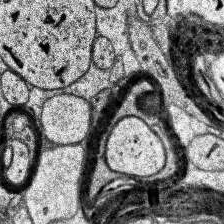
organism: Human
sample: Temporal Lobe